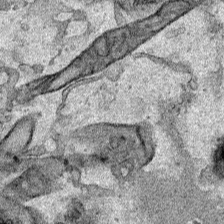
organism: Human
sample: Mitochondria in HCT116 cells